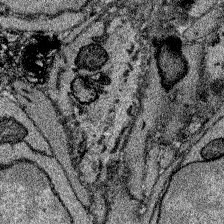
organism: Zebrafish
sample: Larval olfactory bulb